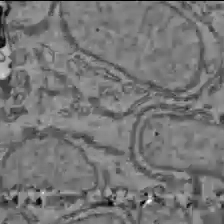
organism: C57BL Mouse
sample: Liver